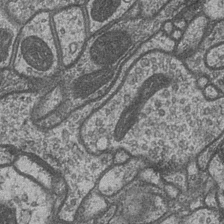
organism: Drosophila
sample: Optic medulla